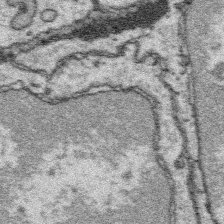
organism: Platynereis dumerilii